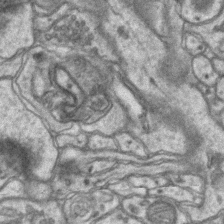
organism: Mouse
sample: CA1 Hippocampus